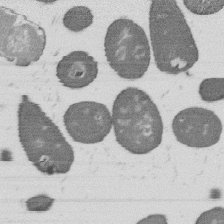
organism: B. subtilis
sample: Bacterial spore